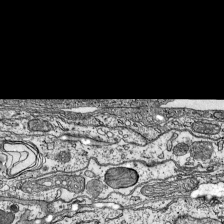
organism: Mouse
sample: Visual Cortex